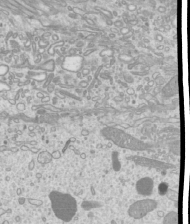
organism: Mouse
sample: Cilia; mouse epididymis